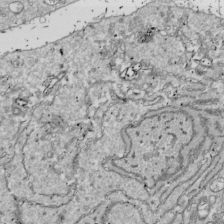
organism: Drosophila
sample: Cell division; meiosis; drosophila spermatocytes